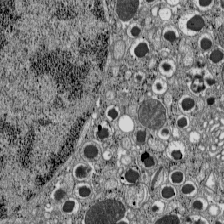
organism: C57BL Mouse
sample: Pancreatic islet